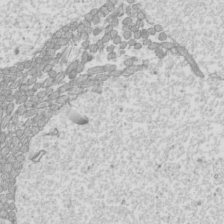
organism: Mouse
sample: Cilia; mouse epididymis